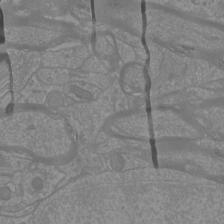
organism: Mouse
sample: Cortical neurons